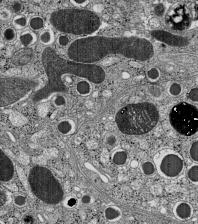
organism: C57BL Mouse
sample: Pancreatic islet